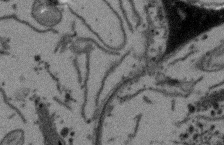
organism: Arabidopsis thaliana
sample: Root tip